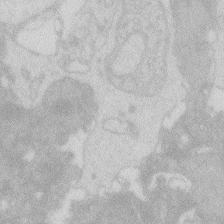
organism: Zebrafish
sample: Macrophage